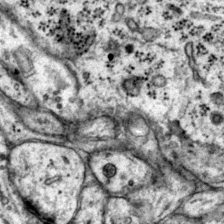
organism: Mouse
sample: Primary visual cortex